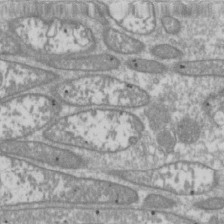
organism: Drosophila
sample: Cell division; meiosis; drosophila spermatocytes